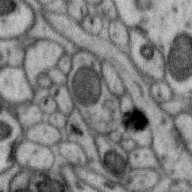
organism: Zebra finch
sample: Brain